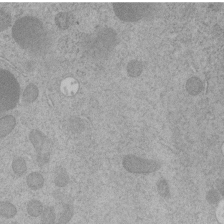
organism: C. elegans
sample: C. elegans embryo early stage